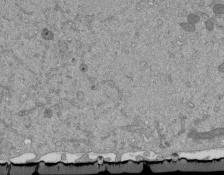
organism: Mouse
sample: ED-1 cell nuclei; centrioles